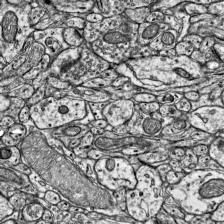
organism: Mouse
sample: Visual Cortex